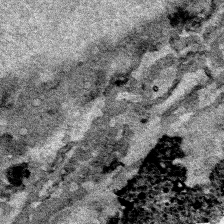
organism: Human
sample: Mitochondria in HCT116 cells